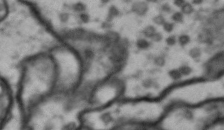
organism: Drosophila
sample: Brain